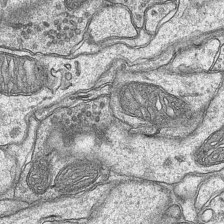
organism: Mouse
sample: CA1 Hippocampus